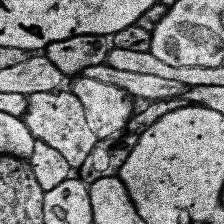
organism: Human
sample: Temporal Lobe